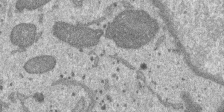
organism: Human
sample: Lung epithelial cells infected with SARS-CoV-2